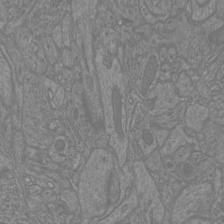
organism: Mouse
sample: Cortical neurons